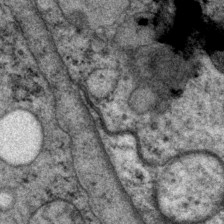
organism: P. pacificus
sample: Pharynx